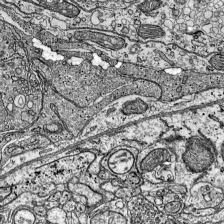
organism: Mouse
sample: Visual Cortex